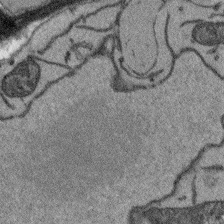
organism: Arabidopsis thaliana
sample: Root tip